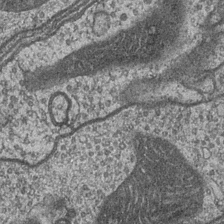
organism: Drosophila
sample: Optic medulla